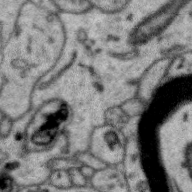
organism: Zebra finch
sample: Brain